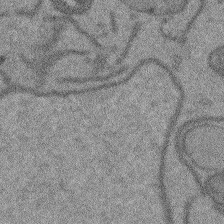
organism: Arabidopsis thaliana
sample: Root tip